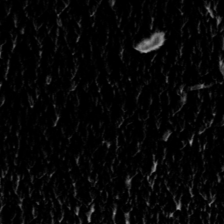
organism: Toxoplasma gondii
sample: Parasites in a vacuole inside a host cell